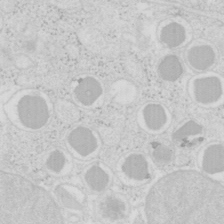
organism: Mouse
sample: Pancreas